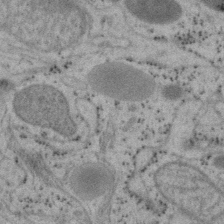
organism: Human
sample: HeLa cells